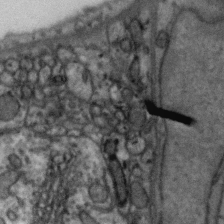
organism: Zebra finch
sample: Brain